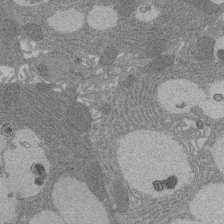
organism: Rat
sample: Salivary granule